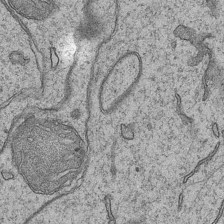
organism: Mouse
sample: CA1 Hippocampus